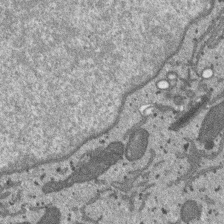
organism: Human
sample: Lung epithelial cells infected with SARS-CoV-2